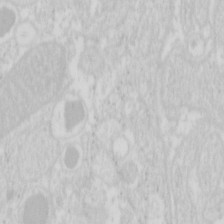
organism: Mouse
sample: Pancreas